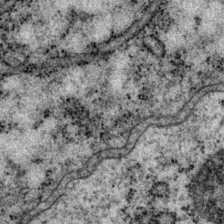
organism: P. pacificus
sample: Pharynx